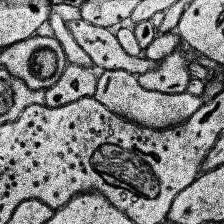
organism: Human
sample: Temporal Lobe